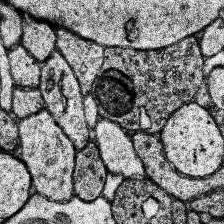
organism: Human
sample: Temporal Lobe